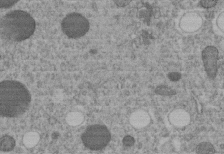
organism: C. elegans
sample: C. elegans embryo early stage